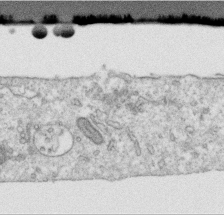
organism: Human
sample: Centriole in RPE cells